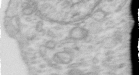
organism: Human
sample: Centriole in RPE cells